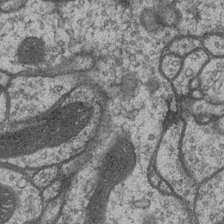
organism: Drosophila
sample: Optic medulla